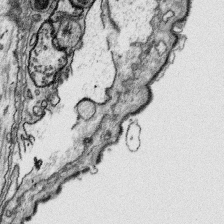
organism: Platynereis dumerilii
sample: Parapodia